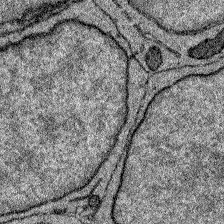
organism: Zebrafish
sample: Larval olfactory bulb